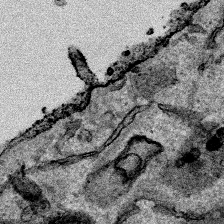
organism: Human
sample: Mitochondria in HCT116 cells